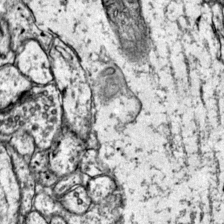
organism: Mouse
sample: Primary visual cortex